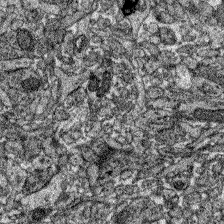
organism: Zebrafish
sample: Larval olfactory bulb